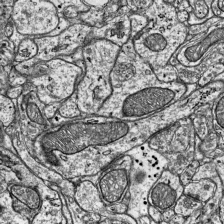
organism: Mouse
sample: Visual Cortex